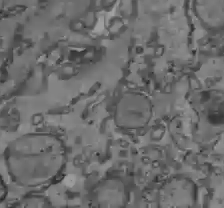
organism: C57BL Mouse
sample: Liver